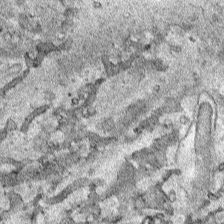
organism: Human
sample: Mitochondria in HCT116 cells